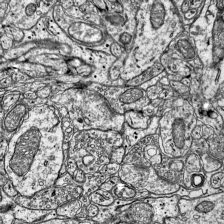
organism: Mouse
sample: Visual Cortex